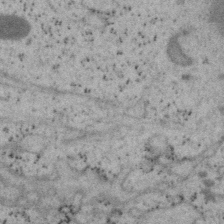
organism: Human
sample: HeLa cells